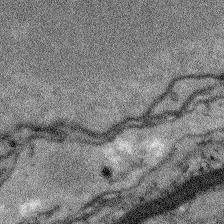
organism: Arabidopsis thaliana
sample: Root tip